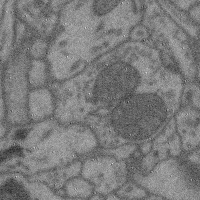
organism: Mouse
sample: Cerebral cortex